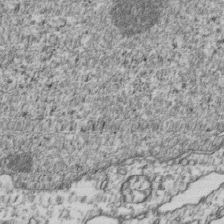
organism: Human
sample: Activated Jurkat CD4+ T cells